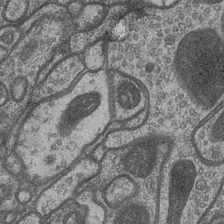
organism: Drosophila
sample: Optic medulla